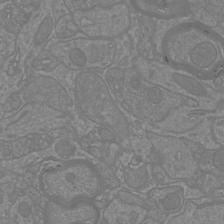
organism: Mouse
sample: Cortical neurons